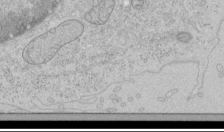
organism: Human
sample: Mitochondria in HCT116 cells